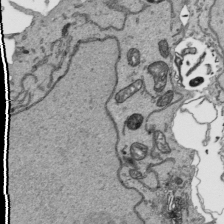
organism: Human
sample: Mitochondria in HCT116 cells